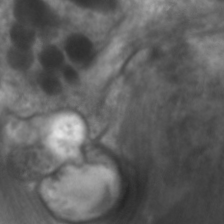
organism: C. elegans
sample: Pharynx